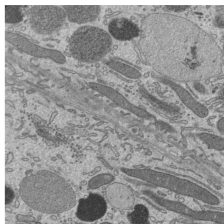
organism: Mouse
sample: Mouse epididymis efferent ductule cilia